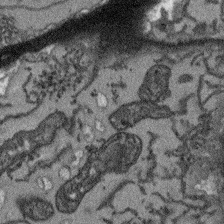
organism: Arabidopsis thaliana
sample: Root tip